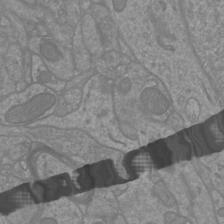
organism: Mouse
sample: Cortical neurons